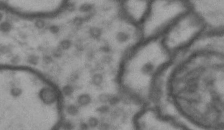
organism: Drosophila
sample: Brain